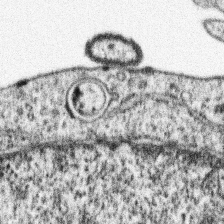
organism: Human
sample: HeLa cells